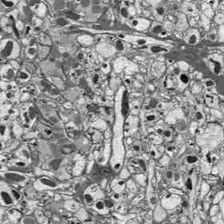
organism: Drosophila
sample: Optic lobe